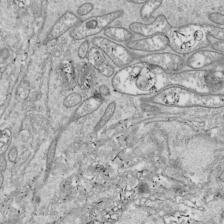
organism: Drosophila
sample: Cell division; meiosis; drosophila spermatocytes